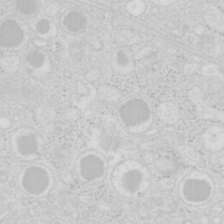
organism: Mouse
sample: Pancreas